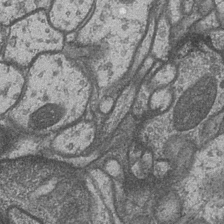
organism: Drosophila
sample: Optic medulla